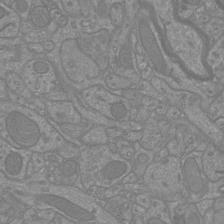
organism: Mouse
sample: Cortical neurons